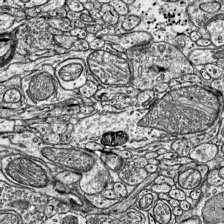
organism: Mouse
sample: Visual Cortex